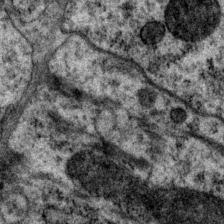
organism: P. pacificus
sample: Pharynx